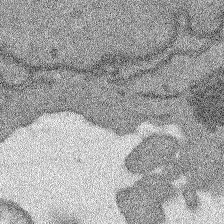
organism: Human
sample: HeLa cells